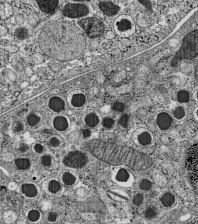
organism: C57BL Mouse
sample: Pancreatic islet